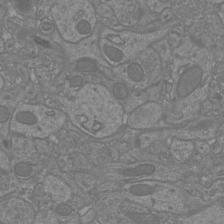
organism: Mouse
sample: Cortical neurons